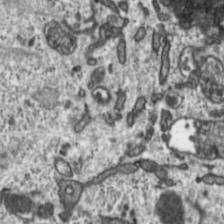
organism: Toxoplasma gondii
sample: Parasites in a vacuole inside a host cell